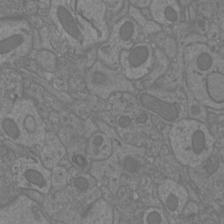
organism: Mouse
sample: Cortical neurons